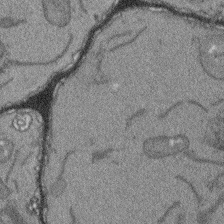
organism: Arabidopsis thaliana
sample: Root tip